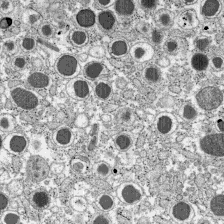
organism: C57BL Mouse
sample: Pancreatic islet